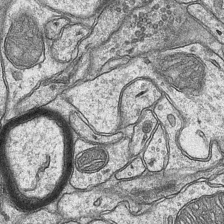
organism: Mouse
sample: CA1 Hippocampus